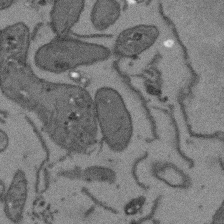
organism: Arabidopsis thaliana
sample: Root tip